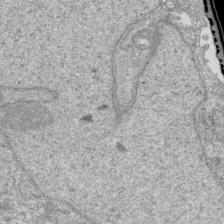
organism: Human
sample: HeLa cell HIV synapse